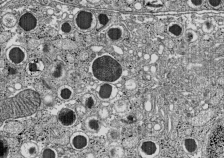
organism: C57BL Mouse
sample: Pancreatic islet